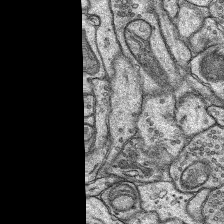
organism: Rat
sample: Hippocampus